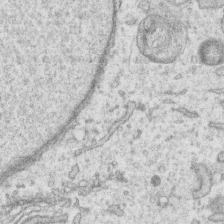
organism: Human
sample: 1205lu cells